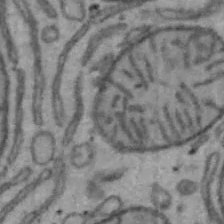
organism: Mouse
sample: Liver